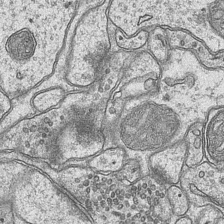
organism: Mouse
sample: CA1 Hippocampus